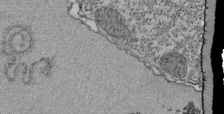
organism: Tetrahymena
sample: Cilia in tetrahymena